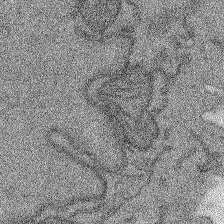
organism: Human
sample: HeLa cells